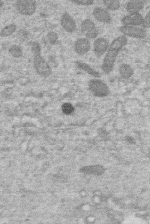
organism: Human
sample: Macrophage cells